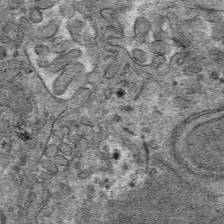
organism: Mouse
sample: Mouse hepatocytes